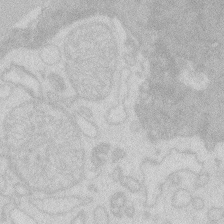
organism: Zebrafish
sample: Macrophage